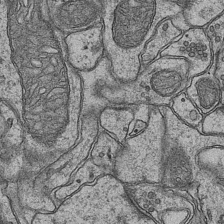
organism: Mouse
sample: CA1 Hippocampus